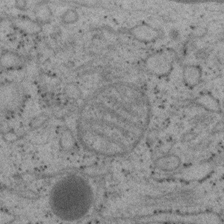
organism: Human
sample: HeLa cells